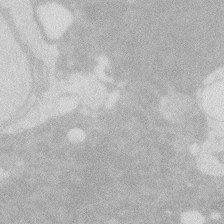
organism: Zebrafish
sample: Macrophage